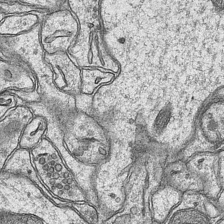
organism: Mouse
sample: CA1 Hippocampus